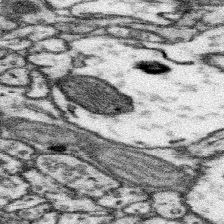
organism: Mouse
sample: Somatosensory cortex neuropil